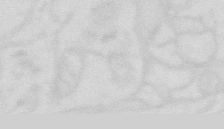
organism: Human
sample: HeLa cells